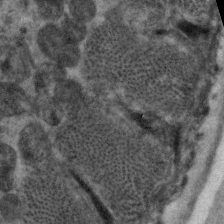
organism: C. elegans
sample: Pharynx